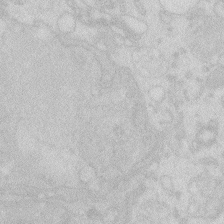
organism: Zebrafish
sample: Macrophage